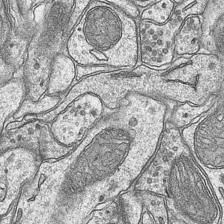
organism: Mouse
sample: CA1 Hippocampus